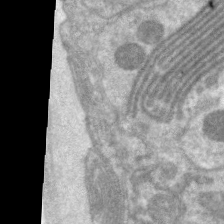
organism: C. elegans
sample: Pharynx